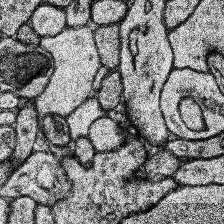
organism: Human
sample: Temporal Lobe